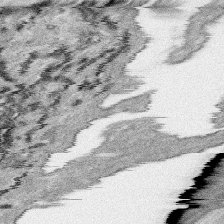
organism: Human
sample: HeLa cells